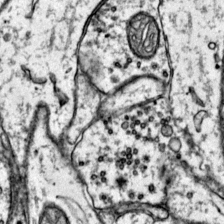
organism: Mouse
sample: Primary visual cortex